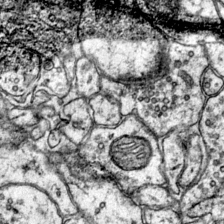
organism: Mouse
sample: Primary visual cortex